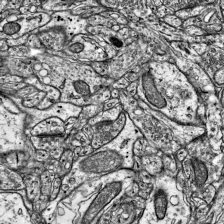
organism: Mouse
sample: Visual Cortex